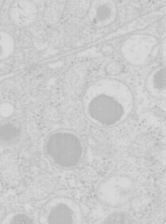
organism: Mouse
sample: Pancreas